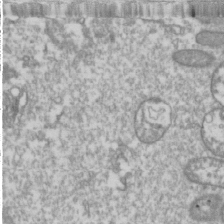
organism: Drosophila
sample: Cell division; meiosis; drosophila spermatocytes